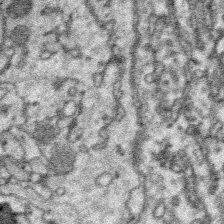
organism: Platynereis dumerilii